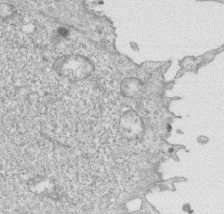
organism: Human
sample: HeLa cell HIV synapse